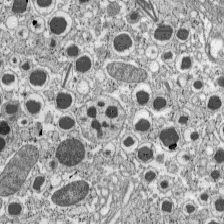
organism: C57BL Mouse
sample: Pancreatic islet